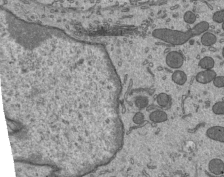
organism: Mouse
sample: Mouse epididymis efferent ductule cilia